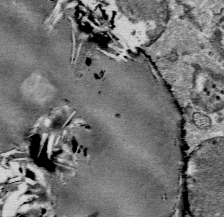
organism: Mouse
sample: Mouse Salivary gland